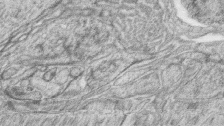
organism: Zebrafish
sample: synaptic ribbons in rod cells and cone cells